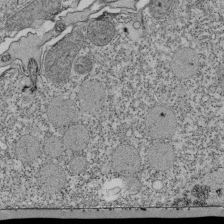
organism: Tetrahymena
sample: Cilia in tetrahymena